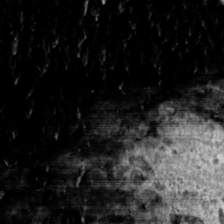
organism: Toxoplasma gondii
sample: Parasites in a vacuole inside a host cell